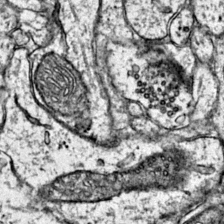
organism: Mouse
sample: Primary visual cortex